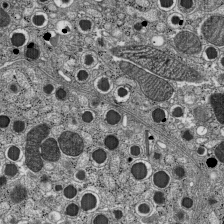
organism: C57BL Mouse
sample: Pancreatic islet